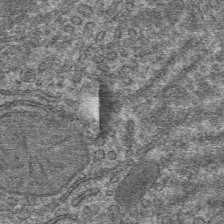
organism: Mouse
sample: Mouse hepatocytes